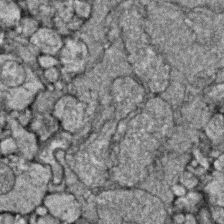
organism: Zebrafish